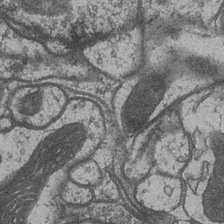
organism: Drosophila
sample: Optic medulla